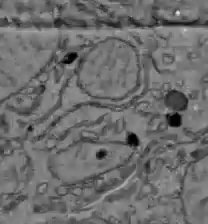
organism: C57BL Mouse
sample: Liver